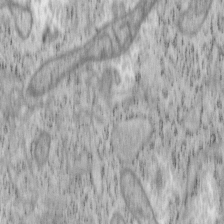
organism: Human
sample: HeLa cells